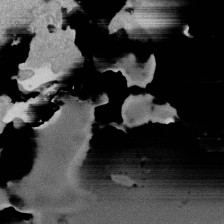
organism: Mouse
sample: ED-1 cell nuclei; centrioles